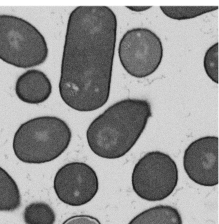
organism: B. subtilis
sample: Bacterial spore